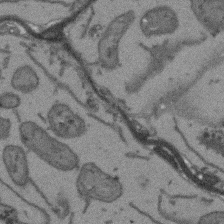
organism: Arabidopsis thaliana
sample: Root tip